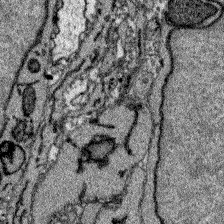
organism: Zebrafish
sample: Larval olfactory bulb